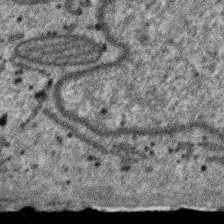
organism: Human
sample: Lung epithelial cells infected with SARS-CoV-2